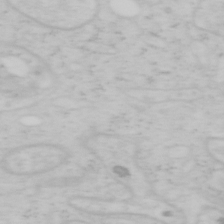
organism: Mouse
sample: OT-I killer T cells with ID8 ovarian cancer cells